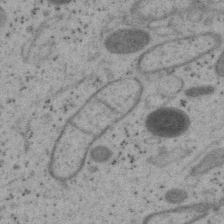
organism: Human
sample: HeLa cells